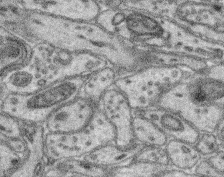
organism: Mouse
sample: Retina